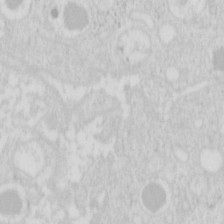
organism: Mouse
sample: Pancreas